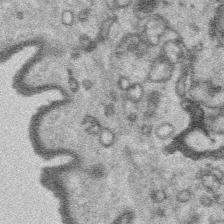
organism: Platynereis dumerilii